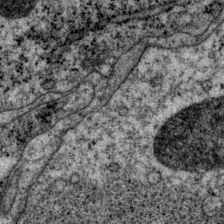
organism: P. pacificus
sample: Pharynx